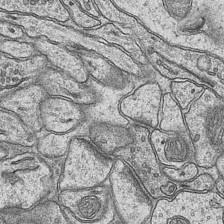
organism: Mouse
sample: CA1 Hippocampus